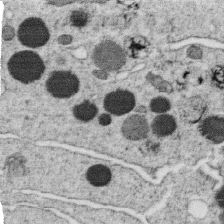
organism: C. elegans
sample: C. elegans oocyte; sperm cells